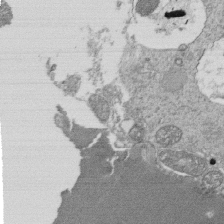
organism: Tetrahymena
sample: Cilia in tetrahymena